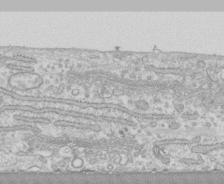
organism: Human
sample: CRL-1474